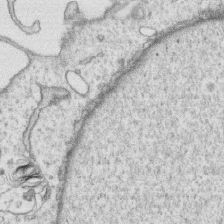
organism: Human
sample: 1205lu cells